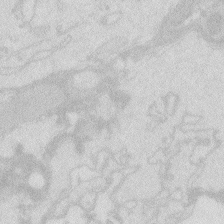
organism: Zebrafish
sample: Macrophage